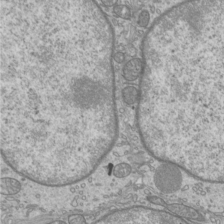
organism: Mouse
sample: Cilia; mouse epididymis